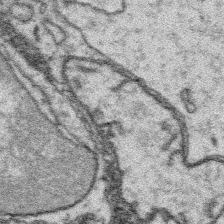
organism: Platynereis dumerilii